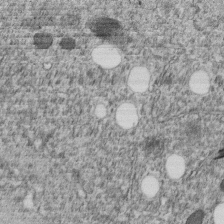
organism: C. elegans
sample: C. elegans embryo early stage